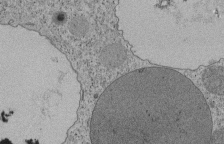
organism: Tetrahymena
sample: Cilia in tetrahymena